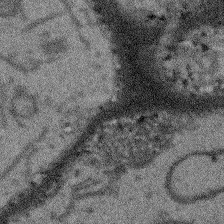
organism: Arabidopsis thaliana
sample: Root tip